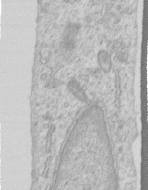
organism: Human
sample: Centriole in RPE cells